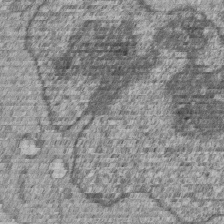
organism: Human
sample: MDA-MB-231 cells